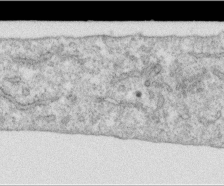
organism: Human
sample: Centriole in RPE cells